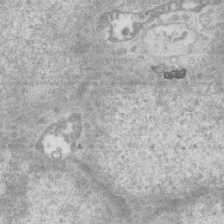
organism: Mouse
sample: Centriole in ependymal cells